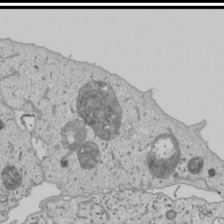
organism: Human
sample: Mitochondria in U2OS cells